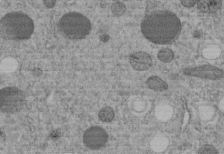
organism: C. elegans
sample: C. elegans embryo early stage